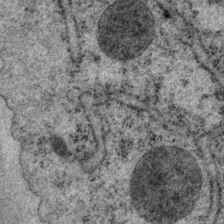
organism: P. pacificus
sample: Pharynx